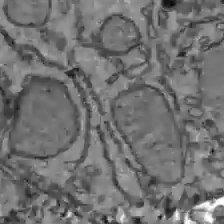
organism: C57BL Mouse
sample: Liver